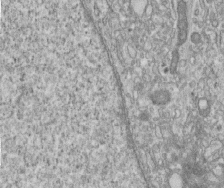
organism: Human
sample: Centriole in fibroblast cells